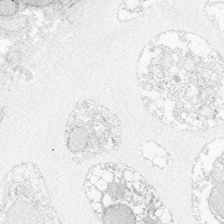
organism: Zebrafish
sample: Whole-Brain